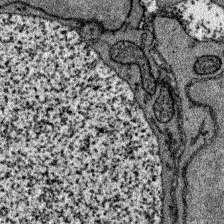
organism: Zebrafish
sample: Larval olfactory bulb